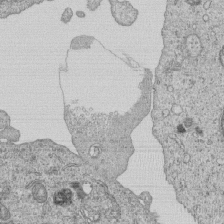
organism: Human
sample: MDA-MB-231 cells